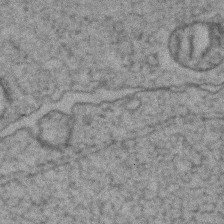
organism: Zebrafish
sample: Zebrafish embryo